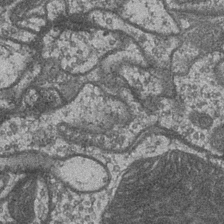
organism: Drosophila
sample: Optic medulla